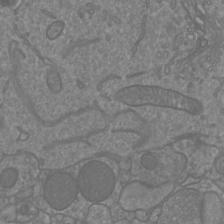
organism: Mouse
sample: Cortical neurons